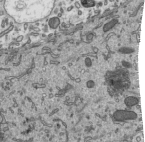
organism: Mouse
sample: Mouse epididymis efferent ductule cilia